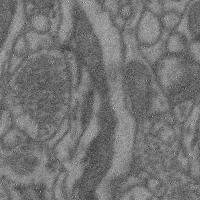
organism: Mouse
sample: Cerebral cortex